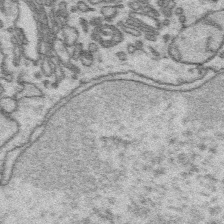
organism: Platynereis dumerilii